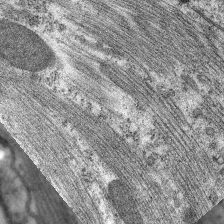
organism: C. elegans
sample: Pharynx